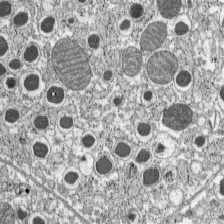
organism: C57BL Mouse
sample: Pancreatic islet